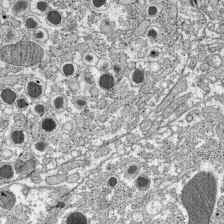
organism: C57BL Mouse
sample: Pancreatic islet